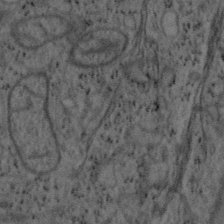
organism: Human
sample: HeLa cells